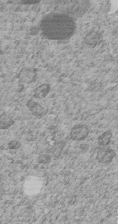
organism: C. elegans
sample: C. elegans embryo early stage